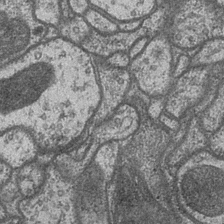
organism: Drosophila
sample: Optic medulla